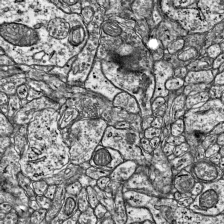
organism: Mouse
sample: Visual Cortex